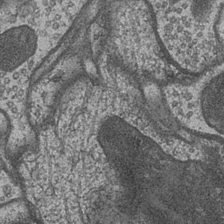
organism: Drosophila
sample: Optic medulla